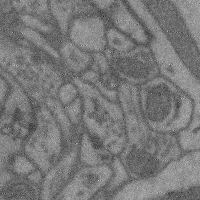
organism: Mouse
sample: Cerebral cortex